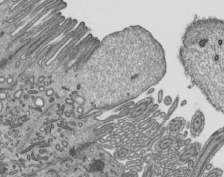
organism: Mouse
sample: Mouse epididymis efferent ductule cilia